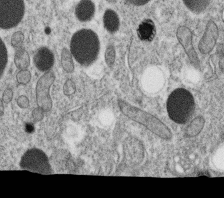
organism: C. elegans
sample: C. elegans oocyte; sperm cells